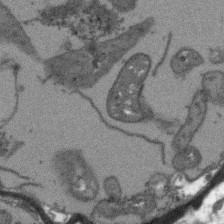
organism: Arabidopsis thaliana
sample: Root tip